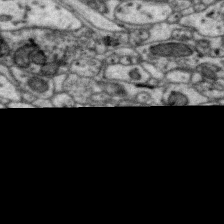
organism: Zebra finch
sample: Brain